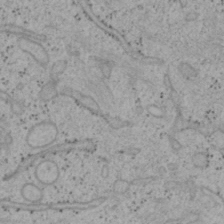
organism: Human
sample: HeLa cells